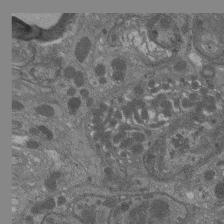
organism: Drosophila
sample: Antenna